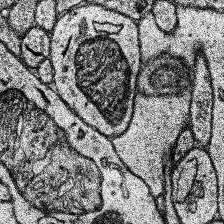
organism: Human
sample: Temporal Lobe